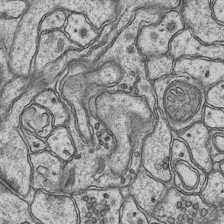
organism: Mouse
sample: CA1 Hippocampus